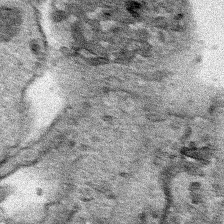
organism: Human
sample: Mitochondria in HCT116 cells